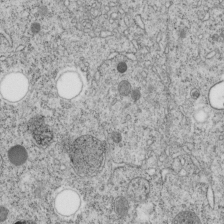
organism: C. elegans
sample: C. elegans embryo early stage